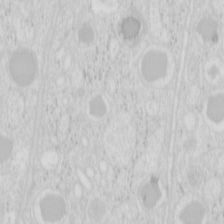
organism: Mouse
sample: Pancreas